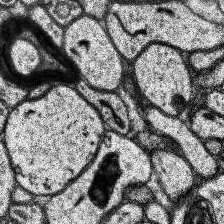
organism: Human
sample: Temporal Lobe